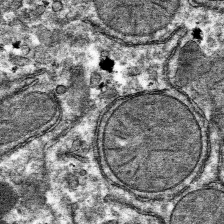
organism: Mouse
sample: Mouse hepatocytes